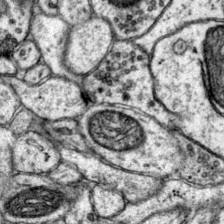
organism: Mouse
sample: Primary visual cortex